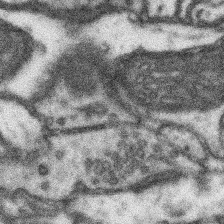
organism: Mouse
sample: Somatosensory cortex neuropil